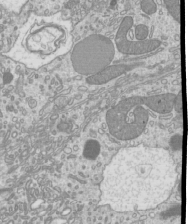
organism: Mouse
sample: Cilia; mouse epididymis